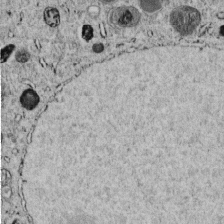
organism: C. elegans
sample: C. elegans embryo early stage